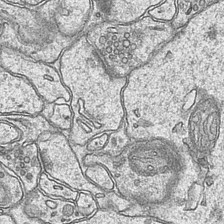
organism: Mouse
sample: CA1 Hippocampus